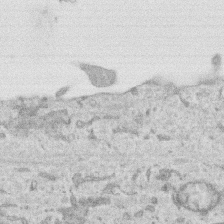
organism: Human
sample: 1205lu cells